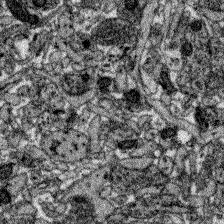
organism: Zebrafish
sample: Larval olfactory bulb